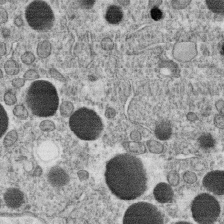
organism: C. elegans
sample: C. elegans oocyte; sperm cells